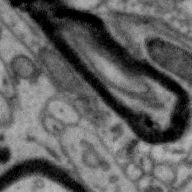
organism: Zebra finch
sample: Brain